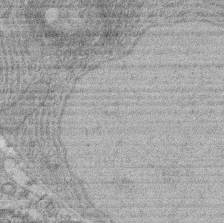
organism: Rat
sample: Salivary granule